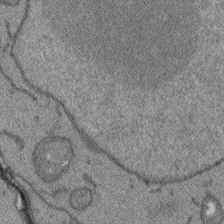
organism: Arabidopsis thaliana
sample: Root tip